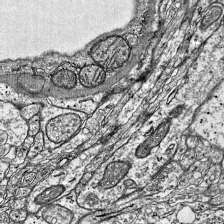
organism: Mouse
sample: Visual Cortex